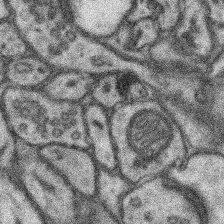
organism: Mouse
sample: Somatosensory cortex neuropil